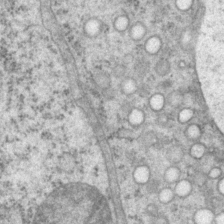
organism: P. pacificus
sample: Pharynx